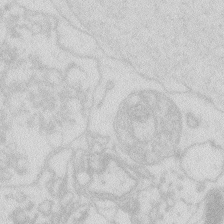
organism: Zebrafish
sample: Macrophage